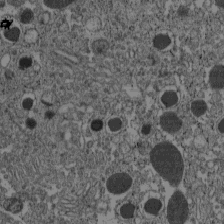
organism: C57BL Mouse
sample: Pancreatic islet